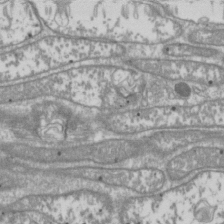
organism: Drosophila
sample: Cell division; meiosis; drosophila spermatocytes